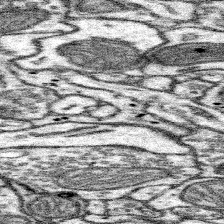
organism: Mouse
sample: Somatosensory cortex neuropil